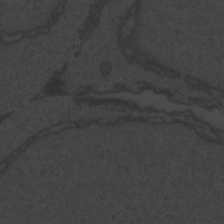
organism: Zebrafish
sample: Macrophage infected with Toxoplasma gondii